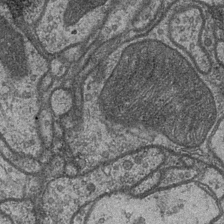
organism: Drosophila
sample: Optic medulla